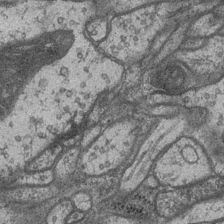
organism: Drosophila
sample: Optic medulla